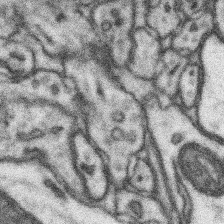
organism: Mouse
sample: Somatosensory cortex neuropil